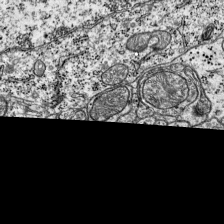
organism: Mouse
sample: Visual Cortex